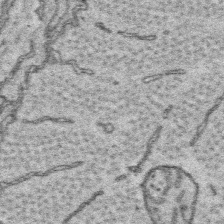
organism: Platynereis dumerilii